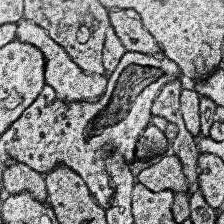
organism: Human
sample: Temporal Lobe